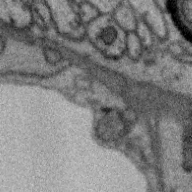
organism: Zebra finch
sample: Brain